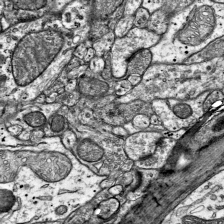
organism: Mouse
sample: Visual Cortex